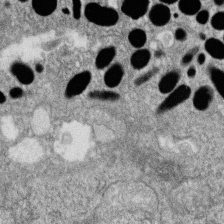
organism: Zebrafish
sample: Cilia; retinal pigment epithelium